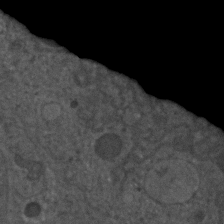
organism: C. elegans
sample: C. elegans embryo